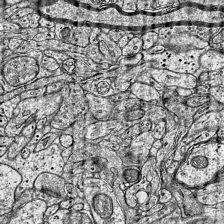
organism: Mouse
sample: Visual Cortex